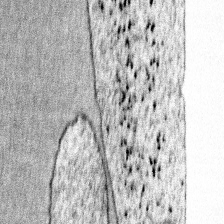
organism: Human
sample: HeLa cells